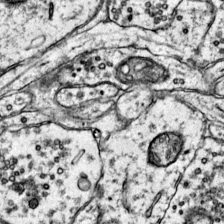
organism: Mouse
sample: Primary visual cortex